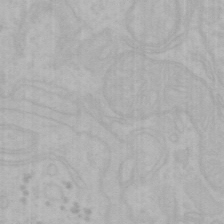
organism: Mouse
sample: Choroid plexus